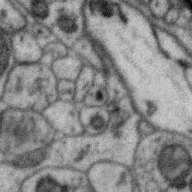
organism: Zebra finch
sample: Brain